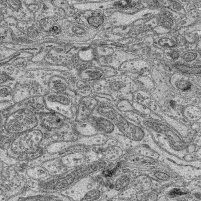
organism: Mouse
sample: Retina